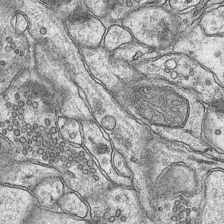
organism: Mouse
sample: CA1 Hippocampus